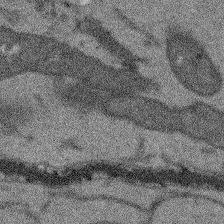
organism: Arabidopsis thaliana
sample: Root tip